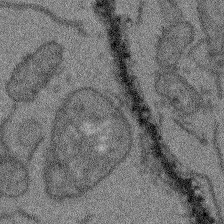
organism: Arabidopsis thaliana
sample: Root tip